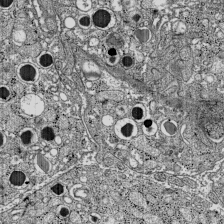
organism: C57BL Mouse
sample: Pancreatic islet